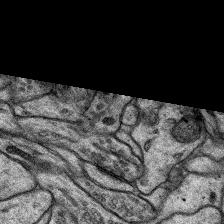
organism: Rat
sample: Hippocampus